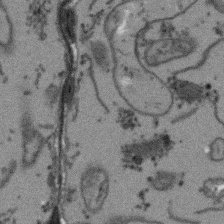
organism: Arabidopsis thaliana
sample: Root tip